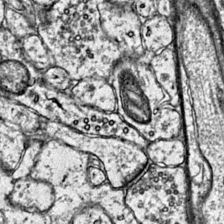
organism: Mouse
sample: Primary visual cortex